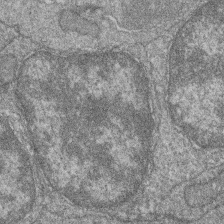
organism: Zebrafish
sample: Cilia; retinal pigment epithelium